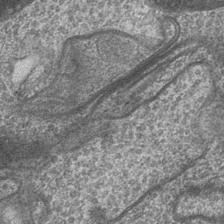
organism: Drosophila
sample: Optic medulla